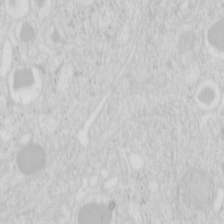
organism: Mouse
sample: Pancreas